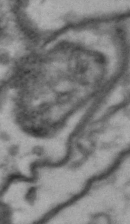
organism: Drosophila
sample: Brain